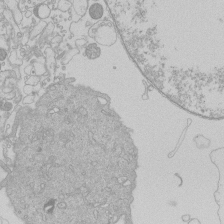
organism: Human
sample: Macrophage cells